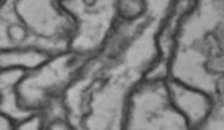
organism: Drosophila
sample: Brain